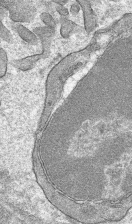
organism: Mouse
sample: Mouse hepatocytes